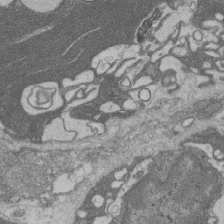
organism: Rat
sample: Salivary granule